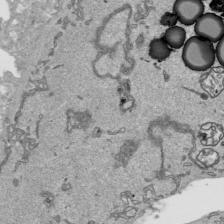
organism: Human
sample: Mitochondria in HCT116 cells